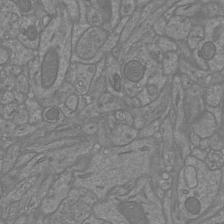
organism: Mouse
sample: Cortical neurons